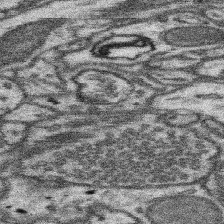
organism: Mouse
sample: Somatosensory cortex neuropil